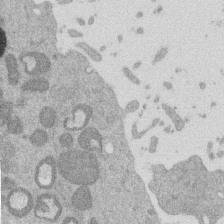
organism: Mouse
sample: Dividing mouse embryo 1 cell stage